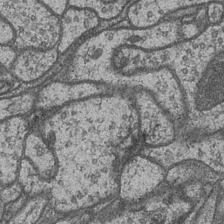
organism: Drosophila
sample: Optic medulla